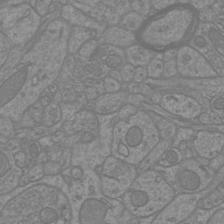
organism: Mouse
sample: Cortical neurons